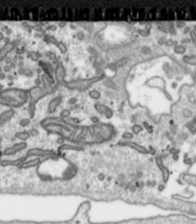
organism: Toxoplasma gondii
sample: Parasites in a vacuole inside a host cell